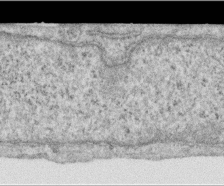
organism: Human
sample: Centriole in RPE cells